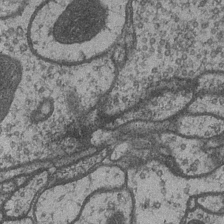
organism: Drosophila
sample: Optic medulla